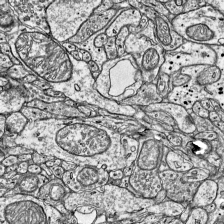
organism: Mouse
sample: Visual Cortex